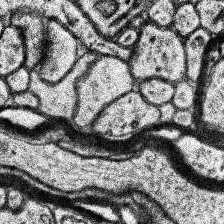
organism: Human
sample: Temporal Lobe